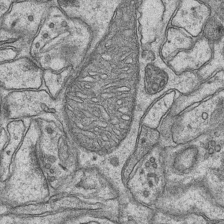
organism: Mouse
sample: CA1 Hippocampus